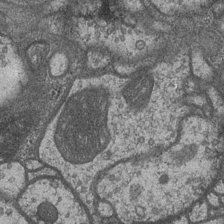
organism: Drosophila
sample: Optic medulla